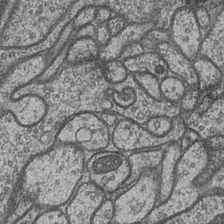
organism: Drosophila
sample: Optic medulla